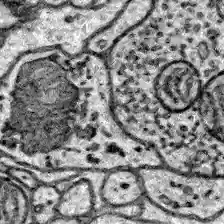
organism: Zebrafish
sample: Brain